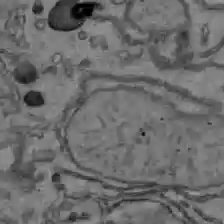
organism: C57BL Mouse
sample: Liver